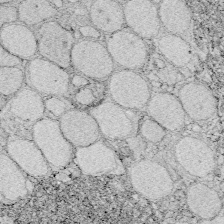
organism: Zebrafish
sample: Whole-Brain